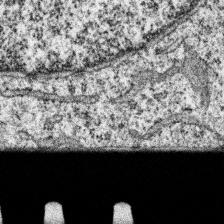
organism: Human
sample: HeLa cells